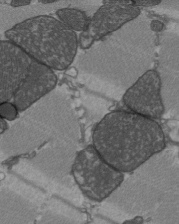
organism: C57BL Mouse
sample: Heart